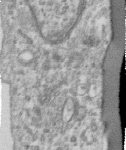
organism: Human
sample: Centriole in RPE cells